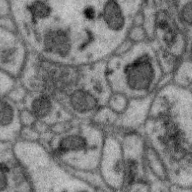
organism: Zebra finch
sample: Brain